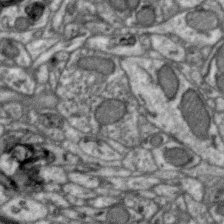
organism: Zebra finch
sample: Brain